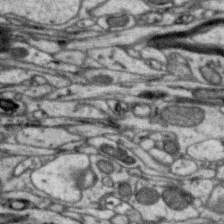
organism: Zebra finch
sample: Brain